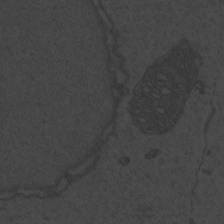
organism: Zebrafish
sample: Macrophage infected with Toxoplasma gondii